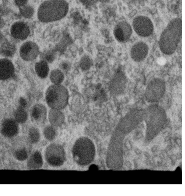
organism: C. elegans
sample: C. elegans oocyte; sperm cells